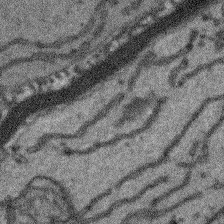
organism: Arabidopsis thaliana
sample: Root tip